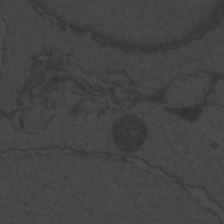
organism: Zebrafish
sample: Macrophage infected with Toxoplasma gondii